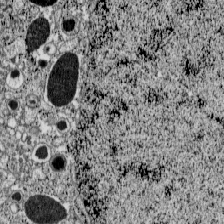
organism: C57BL Mouse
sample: Pancreatic islet